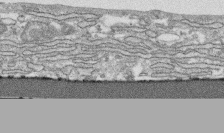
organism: Human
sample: CRL-1474